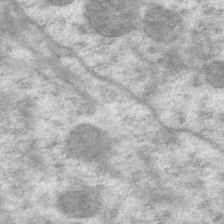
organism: P. pacificus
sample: Pharynx